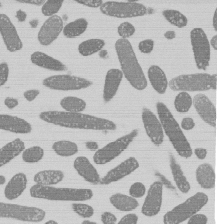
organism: E. coli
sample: Bacterial nucleoid